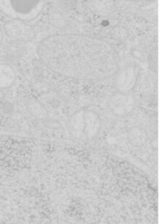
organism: Mouse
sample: Pancreas